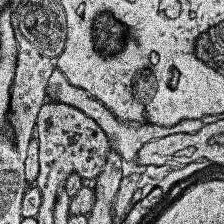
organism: Human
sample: Temporal Lobe